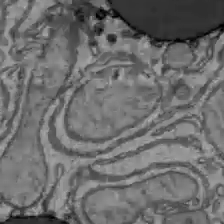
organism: C57BL Mouse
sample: Liver